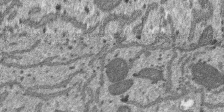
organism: Human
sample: Lung epithelial cells infected with SARS-CoV-2